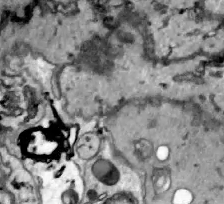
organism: Zebrafish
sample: Actinotrichia fibers